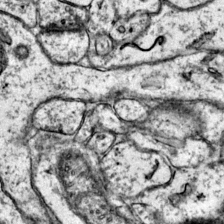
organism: Mouse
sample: Primary visual cortex